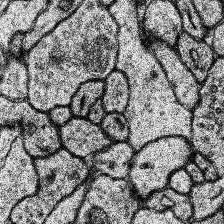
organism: Human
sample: Temporal Lobe